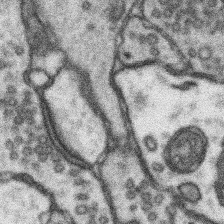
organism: Mouse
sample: Somatosensory cortex neuropil